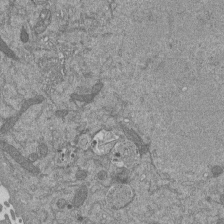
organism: Mouse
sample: ED-1 cell nuclei; centrioles